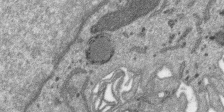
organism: Human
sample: Lung epithelial cells infected with SARS-CoV-2